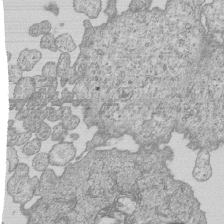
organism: Human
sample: MDA-MB-231 cells